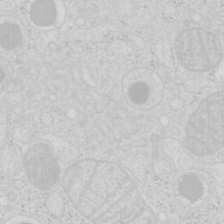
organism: Mouse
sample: Pancreas